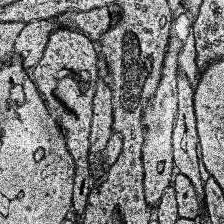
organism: Human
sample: Temporal Lobe